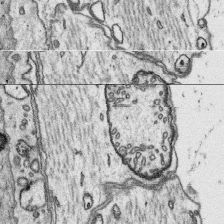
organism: Platynereis dumerilii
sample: Parapodia